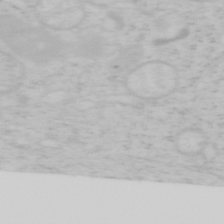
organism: Mouse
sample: OT-I killer T cells with ID8 ovarian cancer cells